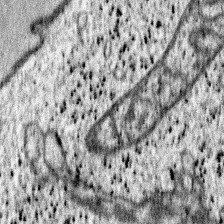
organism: Human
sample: HeLa cells